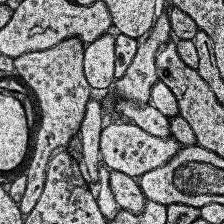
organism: Human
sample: Temporal Lobe